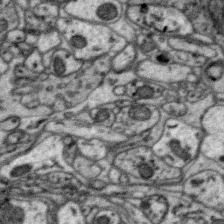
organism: Zebra finch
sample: Brain